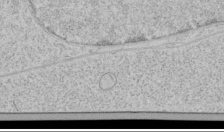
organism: Human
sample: Mitochondria in HCT116 cells